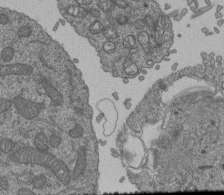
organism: Human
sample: Retinal organoid Rod and Cone cells